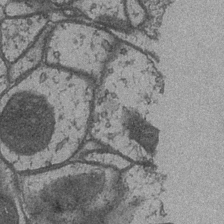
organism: Drosophila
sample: Optic medulla